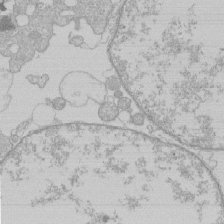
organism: Human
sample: Macrophage cells